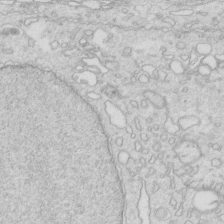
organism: Mouse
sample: Multiciliated cells